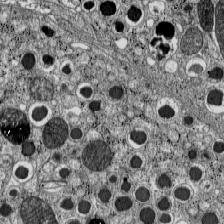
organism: C57BL Mouse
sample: Pancreatic islet